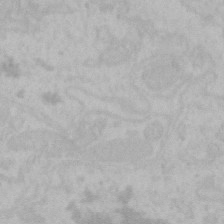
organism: Mouse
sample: Choroid plexus